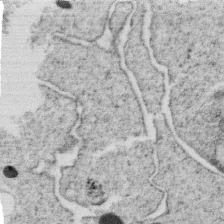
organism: C. elegans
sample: C. elegans oocyte; sperm cells